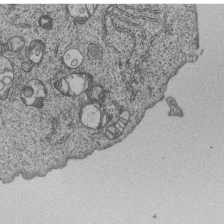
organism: Human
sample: MDA-MB-231 cells